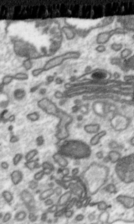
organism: Toxoplasma gondii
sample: Parasites in a vacuole inside a host cell